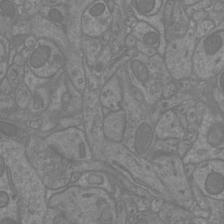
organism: Mouse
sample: Cortical neurons